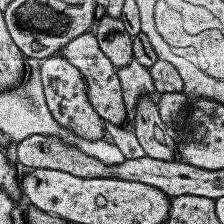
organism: Human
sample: Temporal Lobe